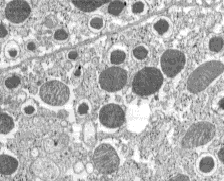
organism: C57BL Mouse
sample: Pancreatic islet